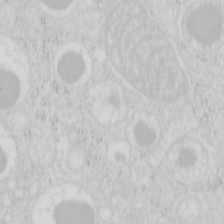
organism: Mouse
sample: Pancreas